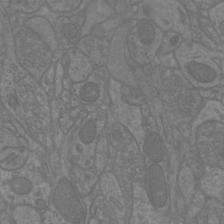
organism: Mouse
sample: Cortical neurons